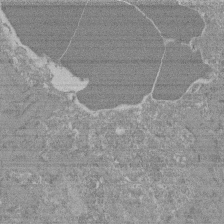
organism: Mouse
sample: Glomerulus